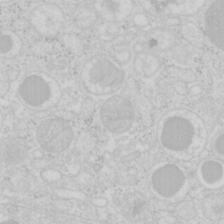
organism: Mouse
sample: Pancreas